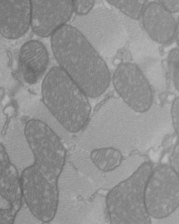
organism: C57BL Mouse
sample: Heart